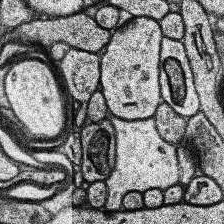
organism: Human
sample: Temporal Lobe